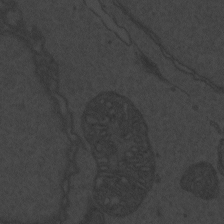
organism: Zebrafish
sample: Macrophage infected with Toxoplasma gondii